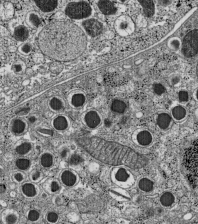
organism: C57BL Mouse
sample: Pancreatic islet